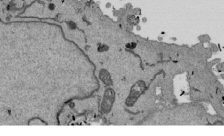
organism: Mouse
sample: ED-1 cell nuclei; centrioles